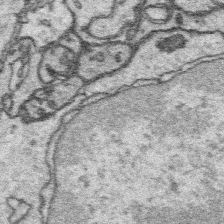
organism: Platynereis dumerilii